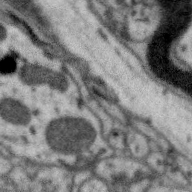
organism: Zebra finch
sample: Brain